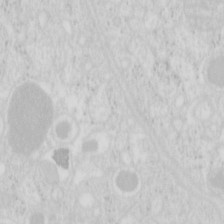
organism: Mouse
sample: Pancreas